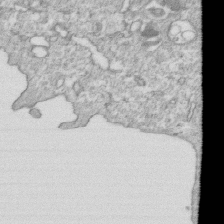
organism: Mouse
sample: Activated OT-1 CD8+ T cells